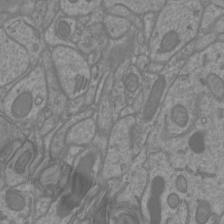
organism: Mouse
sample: Cortical neurons